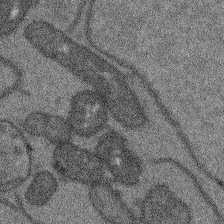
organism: Arabidopsis thaliana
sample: Root tip